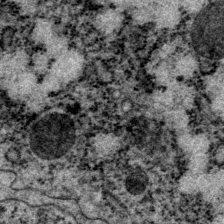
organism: P. pacificus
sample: Pharynx